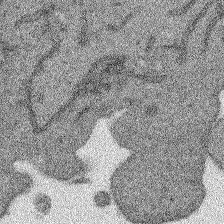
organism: Human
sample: HeLa cells